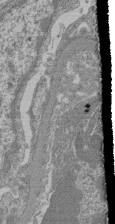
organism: Mouse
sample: Glomerulus